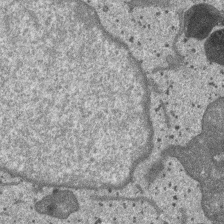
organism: Human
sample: Lung epithelial cells infected with SARS-CoV-2